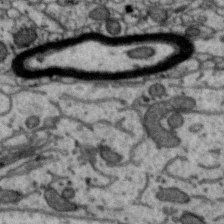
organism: Zebra finch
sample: Brain